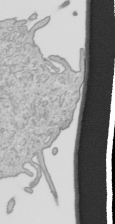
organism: Human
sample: Mitochondria in HCT116 cells